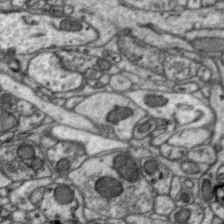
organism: Zebra finch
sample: Brain